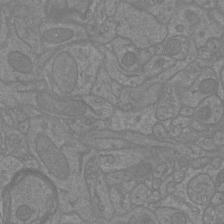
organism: Mouse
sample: Cortical neurons